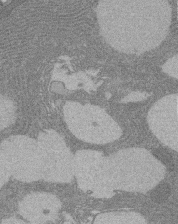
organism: Rat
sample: Salivary granule